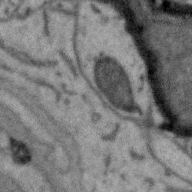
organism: Zebra finch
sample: Brain